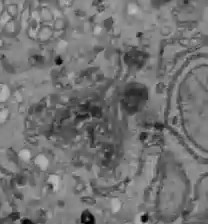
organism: C57BL Mouse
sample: Liver